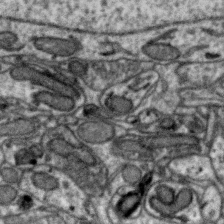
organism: Zebra finch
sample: Brain